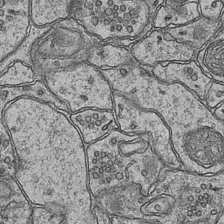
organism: Mouse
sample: CA1 Hippocampus